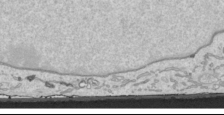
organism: Human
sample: Mitochondria in HCT116 cells